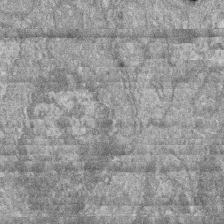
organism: Zebrafish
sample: Cilia; retinal pigment epithelium